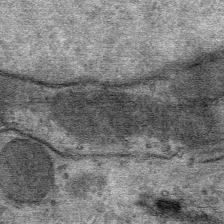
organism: Mouse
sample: Mouse Salivary gland